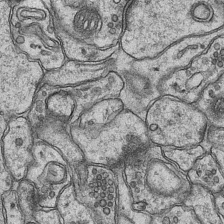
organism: Mouse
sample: CA1 Hippocampus